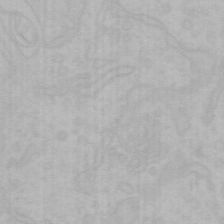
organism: Mouse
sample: Choroid plexus